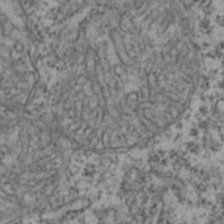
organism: Zebrafish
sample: Zebrafish embryo